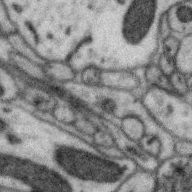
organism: Zebra finch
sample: Brain